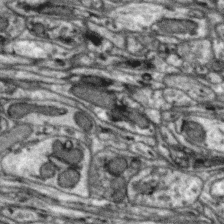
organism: Zebra finch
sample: Brain